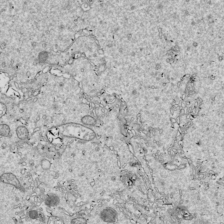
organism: Drosophila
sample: Cell division; meiosis; drosophila spermatocytes